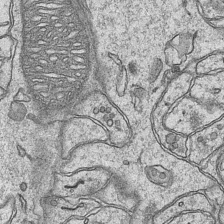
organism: Mouse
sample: CA1 Hippocampus